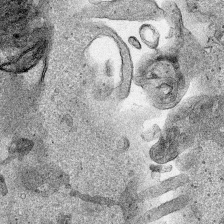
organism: Human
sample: Mitochondria in HCT116 cells